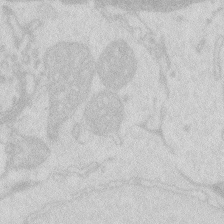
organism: Zebrafish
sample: Macrophage